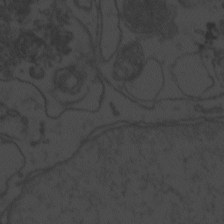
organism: Zebrafish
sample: Macrophage infected with Toxoplasma gondii